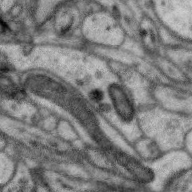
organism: Zebra finch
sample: Brain